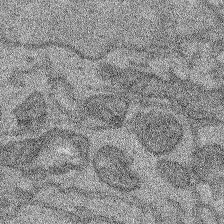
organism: Human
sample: HeLa cells